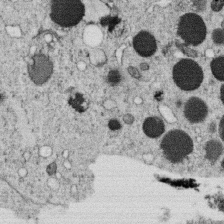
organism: C. elegans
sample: C. elegans oocyte; sperm cells